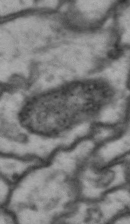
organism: Drosophila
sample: Brain